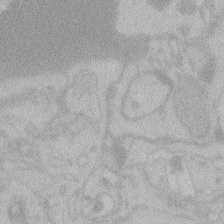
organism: Zebrafish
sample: Macrophage infected with Toxoplasma gondii